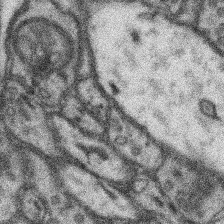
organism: Mouse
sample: Somatosensory cortex neuropil